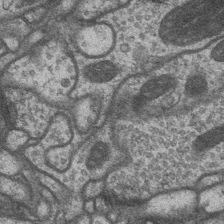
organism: Drosophila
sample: Optic medulla